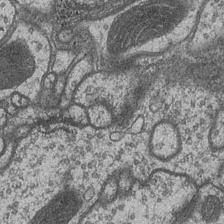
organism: Drosophila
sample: Optic medulla